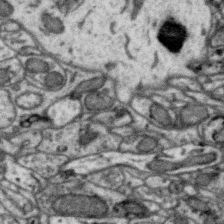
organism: Zebra finch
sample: Brain